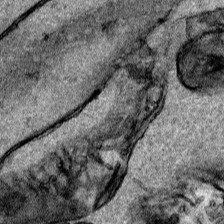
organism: Human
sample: Mitochondria in HCT116 cells